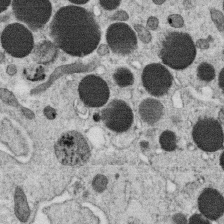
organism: C. elegans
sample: C. elegans oocyte; sperm cells